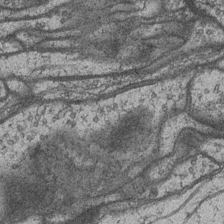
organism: Drosophila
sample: Optic medulla